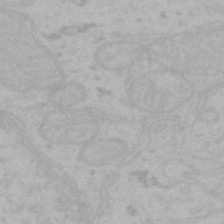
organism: Mouse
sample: Choroid plexus